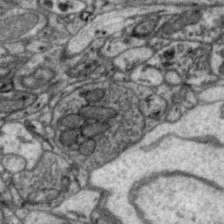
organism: Zebra finch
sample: Brain